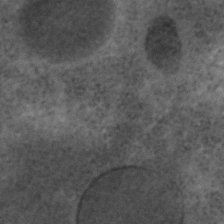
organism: C. elegans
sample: C. elegans embryo